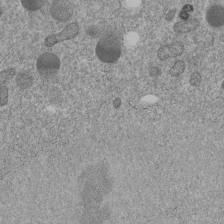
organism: C. elegans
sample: C. elegans embryo early stage